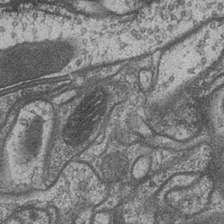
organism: Drosophila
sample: Optic medulla